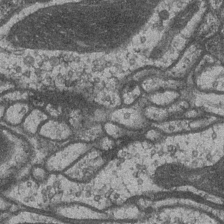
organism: Drosophila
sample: Optic medulla